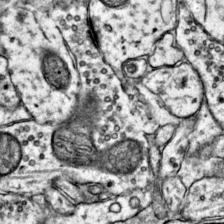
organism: Mouse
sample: Primary visual cortex